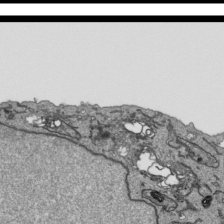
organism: Human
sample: Mitochondria in HCT116 cells